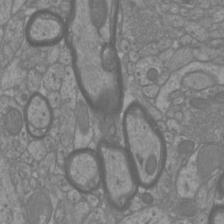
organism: Mouse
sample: Cortical neurons